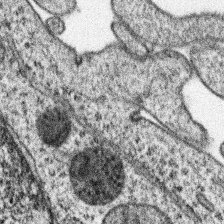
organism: Human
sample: HeLa cells